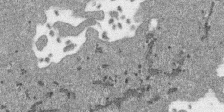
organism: Human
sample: Lung epithelial cells infected with SARS-CoV-2